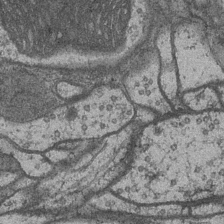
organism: Drosophila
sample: Optic medulla